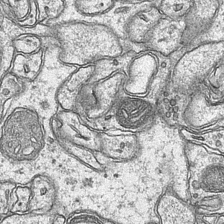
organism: Mouse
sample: CA1 Hippocampus